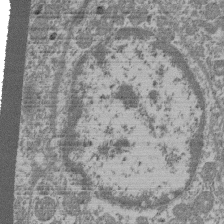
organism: Mouse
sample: Glomerulus